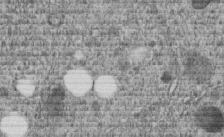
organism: C. elegans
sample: C. elegans embryo early stage